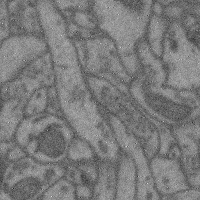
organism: Mouse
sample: Cerebral cortex